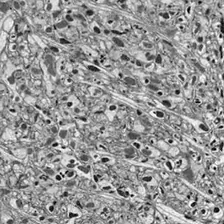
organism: Drosophila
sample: Optic lobe